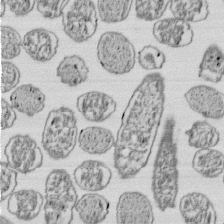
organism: E. coli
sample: Bacterial nucleoid